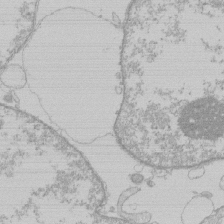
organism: Human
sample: Macrophage cells